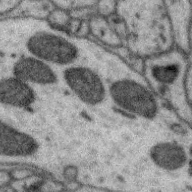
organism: Zebra finch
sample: Brain